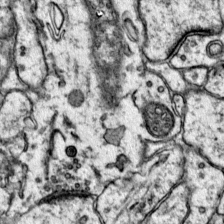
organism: Mouse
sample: Primary visual cortex